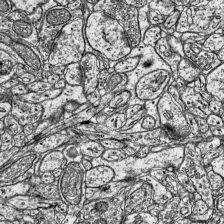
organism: Mouse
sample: Visual Cortex